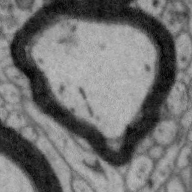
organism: Zebra finch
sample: Brain